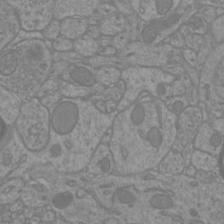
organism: Mouse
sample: Cortical neurons